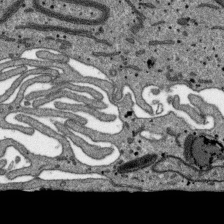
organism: Human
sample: Lung epithelial cells, uninfected (mock) control